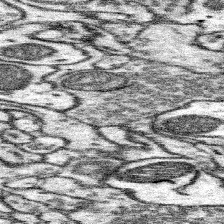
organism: Mouse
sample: Somatosensory cortex neuropil